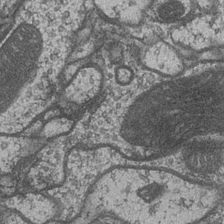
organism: Drosophila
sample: Optic medulla